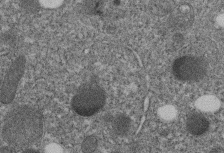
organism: C. elegans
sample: C. elegans embryo early stage